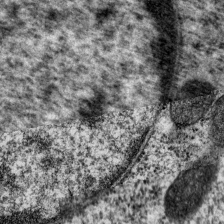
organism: P. pacificus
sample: Pharynx